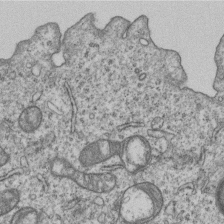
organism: Human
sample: MDA-MB-231 cells